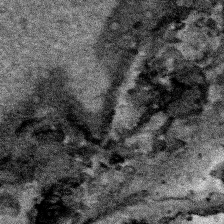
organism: Human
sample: Mitochondria in HCT116 cells